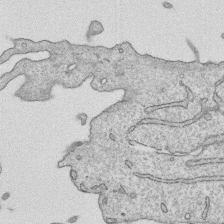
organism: Human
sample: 1205lu cells